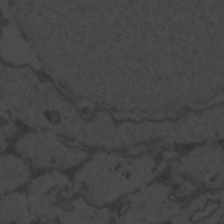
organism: Zebrafish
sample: Macrophage infected with Toxoplasma gondii